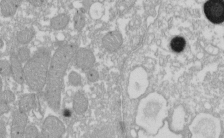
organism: Xenopus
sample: Cilia; centrioles in frog embryo cells